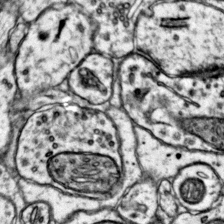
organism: Mouse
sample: Primary visual cortex